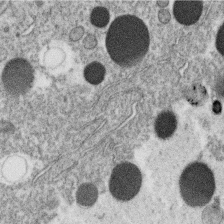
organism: C. elegans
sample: C. elegans oocyte; sperm cells